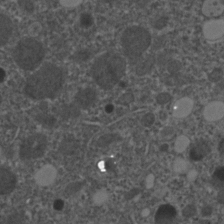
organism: C. elegans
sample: C. elegans embryo